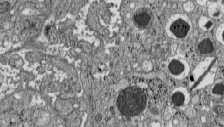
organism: C57BL Mouse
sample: Pancreatic islet